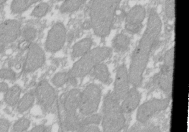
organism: Xenopus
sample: Cilia; centrioles in frog embryo cells